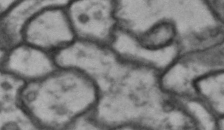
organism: Drosophila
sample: Brain